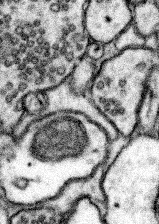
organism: Mouse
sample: Somatosensory cortex neuropil